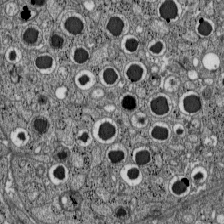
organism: C57BL Mouse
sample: Pancreatic islet